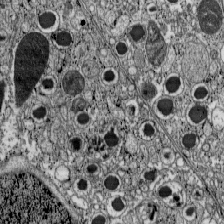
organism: C57BL Mouse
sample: Pancreatic islet